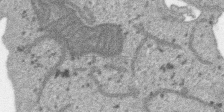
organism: Human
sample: Lung epithelial cells infected with SARS-CoV-2